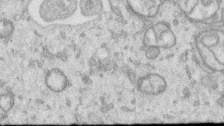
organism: Human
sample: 1205lu cells